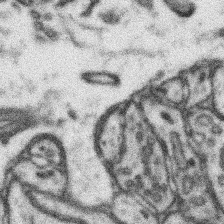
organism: Mouse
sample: Somatosensory cortex neuropil